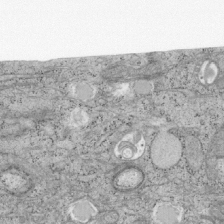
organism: Human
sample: HeLa cells